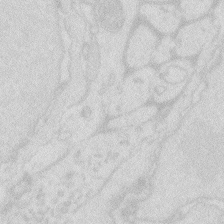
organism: Zebrafish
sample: Macrophage